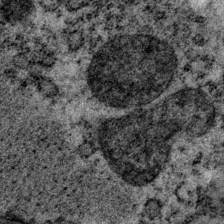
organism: P. pacificus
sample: Pharynx